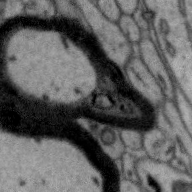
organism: Zebra finch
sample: Brain